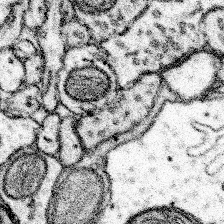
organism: Mouse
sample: Somatosensory cortex neuropil